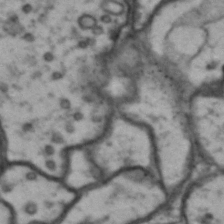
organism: Drosophila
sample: Brain